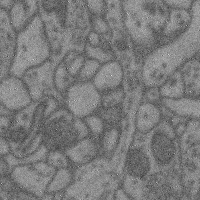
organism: Mouse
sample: Cerebral cortex